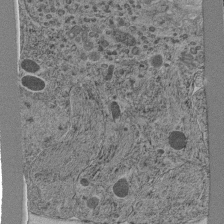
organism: C. elegans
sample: C. elegans pharynx